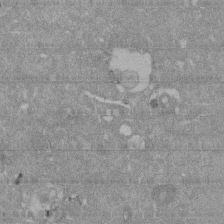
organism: Mouse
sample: ED-1 cell nuclei; centrioles